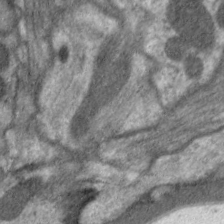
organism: C. elegans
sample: Pharynx